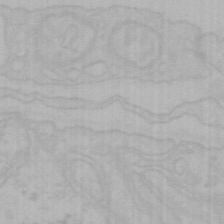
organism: Mouse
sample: Choroid plexus